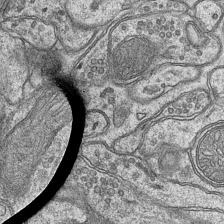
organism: Mouse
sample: CA1 Hippocampus